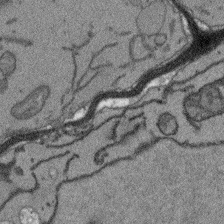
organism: Arabidopsis thaliana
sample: Root tip